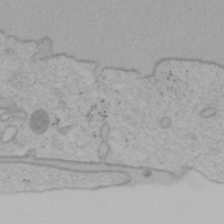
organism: Human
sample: HeLa cells